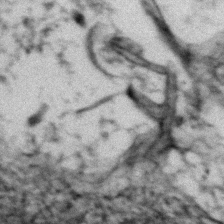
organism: Zebrafish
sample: Zebrafish embryo